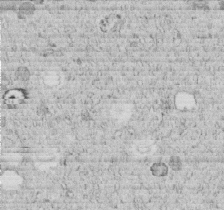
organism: C. elegans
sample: C. elegans embryo early stage